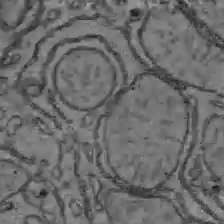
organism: C57BL Mouse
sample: Liver